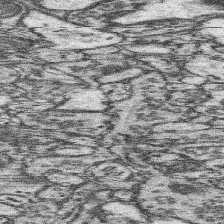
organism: Mouse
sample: Somatosensory cortex neuropil